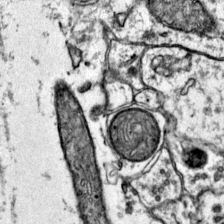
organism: Mouse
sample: Primary visual cortex